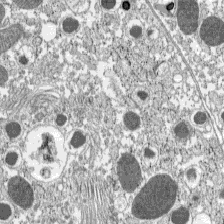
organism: C57BL Mouse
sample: Pancreatic islet